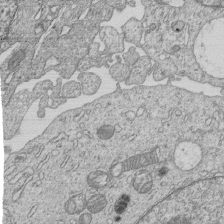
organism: Human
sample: MDA-MB-231 cells